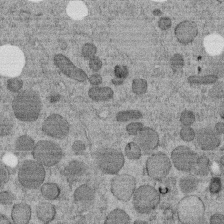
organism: C. elegans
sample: C. elegans embryo early stage